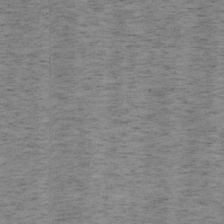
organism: Mouse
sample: OT-I killer T cells with ID8 ovarian cancer cells